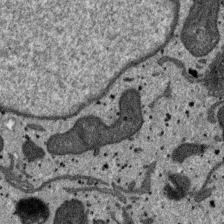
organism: Human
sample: Lung epithelial cells, uninfected (mock) control